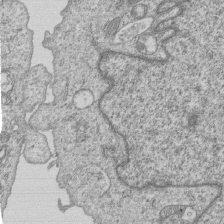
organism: Human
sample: MDA-MB-231 cells